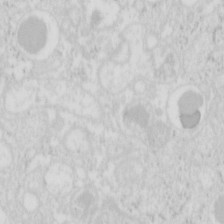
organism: Mouse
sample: Pancreas